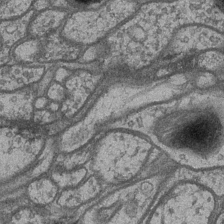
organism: Drosophila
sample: Optic medulla